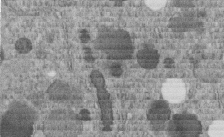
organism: C. elegans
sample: C. elegans embryo early stage